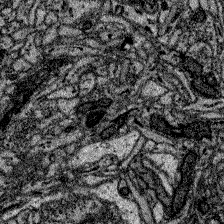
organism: Zebrafish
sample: Larval olfactory bulb